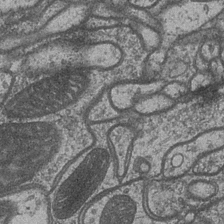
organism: Drosophila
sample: Optic medulla